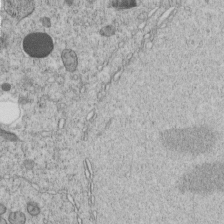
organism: C. elegans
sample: C. elegans embryo early stage